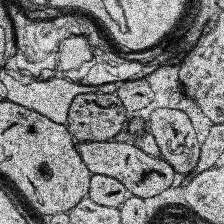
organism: Human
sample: Temporal Lobe